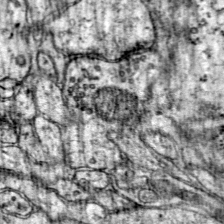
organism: Mouse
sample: Primary visual cortex